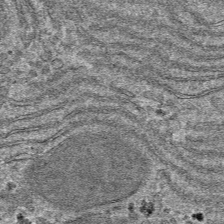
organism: Mouse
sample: Mouse hepatocytes